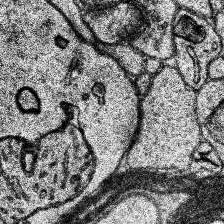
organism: Human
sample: Temporal Lobe